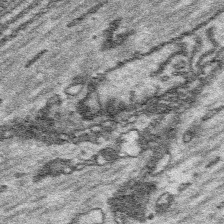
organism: Platynereis dumerilii